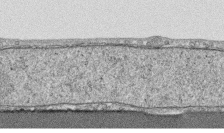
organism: Human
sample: CRL-1474